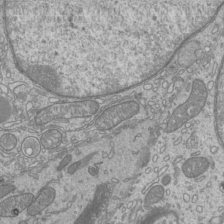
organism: Mouse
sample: Cilia; mouse epididymis